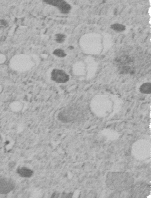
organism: C. elegans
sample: C. elegans embryo early stage